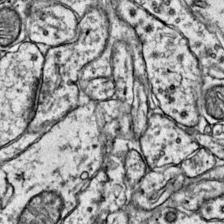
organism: Mouse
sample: Primary visual cortex